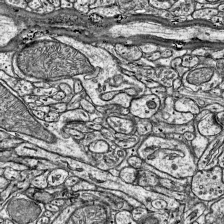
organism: Mouse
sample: Visual Cortex